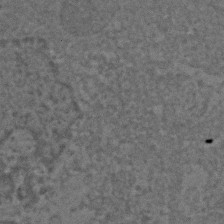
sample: Trachea